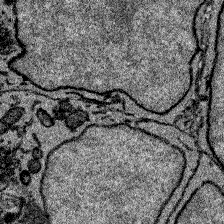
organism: Zebrafish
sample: Larval olfactory bulb